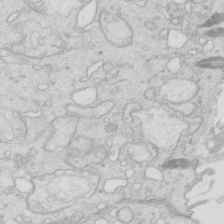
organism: Mouse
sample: Multiciliated cells